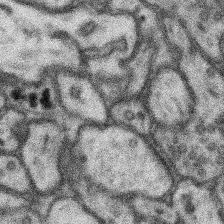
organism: Mouse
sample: Somatosensory cortex neuropil